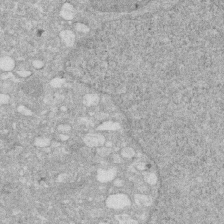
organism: Human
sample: HIV infected U937 cells